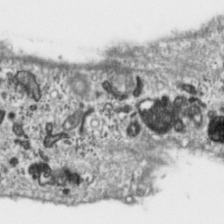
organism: Toxoplasma gondii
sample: Parasites in a vacuole inside a host cell